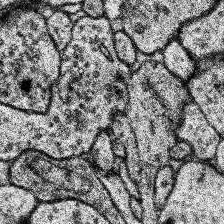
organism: Human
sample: Temporal Lobe